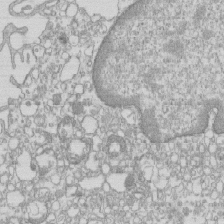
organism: Mouse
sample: Macrophages